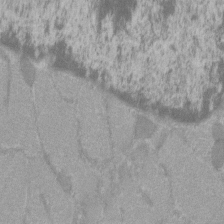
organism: C57BL Mouse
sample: Tibialis anterior muscle cell